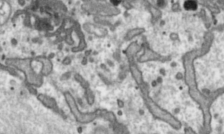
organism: Toxoplasma gondii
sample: Parasites in a vacuole inside a host cell